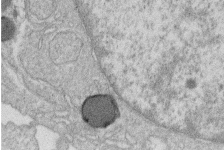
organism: Human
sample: Macrophage cells